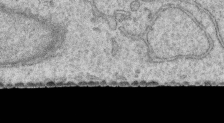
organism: Human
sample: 1205lu cells